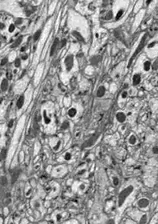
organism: Drosophila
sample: Optic lobe